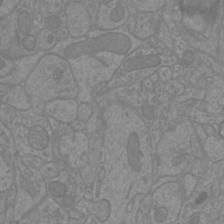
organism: Mouse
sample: Cortical neurons